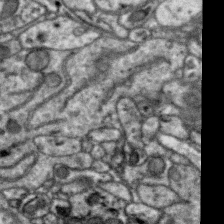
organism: Zebra finch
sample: Brain